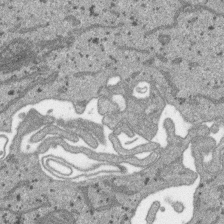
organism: Human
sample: Lung epithelial cells infected with SARS-CoV-2